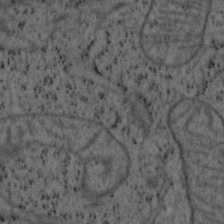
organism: Human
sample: HeLa cells